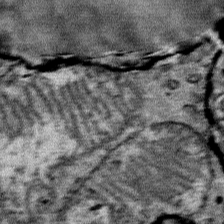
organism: Mouse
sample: Mouse Salivary gland